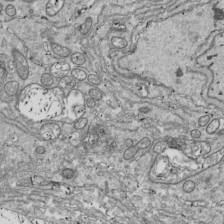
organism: Drosophila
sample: Cell division; meiosis; drosophila spermatocytes